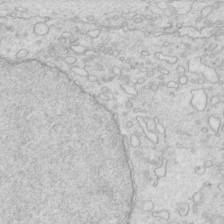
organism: Mouse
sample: Multiciliated cells